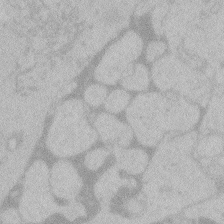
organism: Zebrafish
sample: Macrophage infected with Toxoplasma gondii